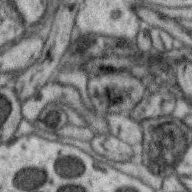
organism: Zebra finch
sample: Brain